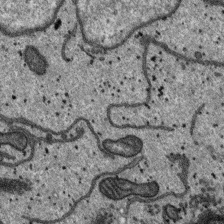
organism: Human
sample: Lung epithelial cells, uninfected (mock) control